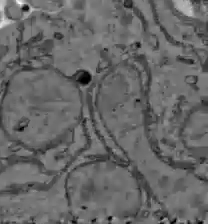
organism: C57BL Mouse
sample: Liver